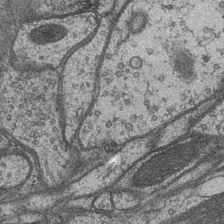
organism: Drosophila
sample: Optic medulla